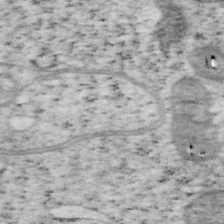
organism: Mouse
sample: OT-I killer T cells with ID8 ovarian cancer cells